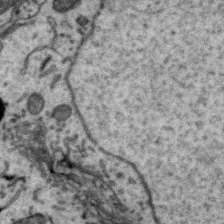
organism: Zebra finch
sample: Brain